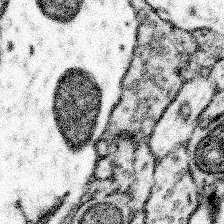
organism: Mouse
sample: Somatosensory cortex neuropil